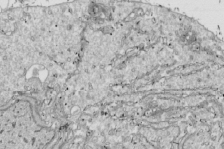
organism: Drosophila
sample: Cell division; meiosis; drosophila spermatocytes